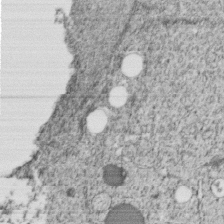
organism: C. elegans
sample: C. elegans embryo early stage